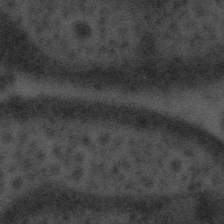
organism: Tuwongella immobilis